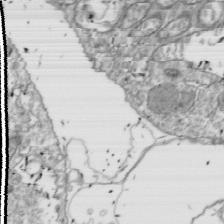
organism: Drosophila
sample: Cell division; meiosis; drosophila spermatocytes